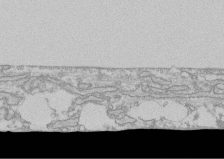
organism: Human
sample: CRL-1474